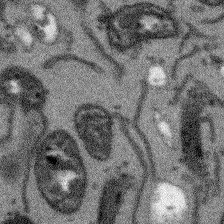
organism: Arabidopsis thaliana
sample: Root tip